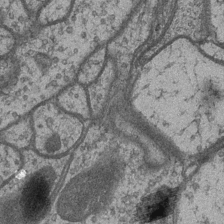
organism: Drosophila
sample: Optic medulla